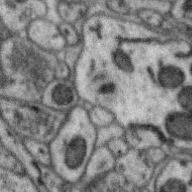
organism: Zebra finch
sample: Brain